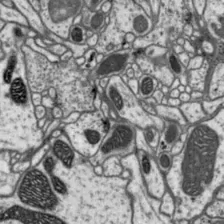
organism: Drosophila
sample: Protocerebral bridge